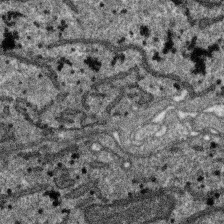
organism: Human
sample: Lung epithelial cells infected with SARS-CoV-2